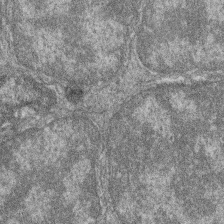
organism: Zebrafish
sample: Cilia; retinal pigment epithelium